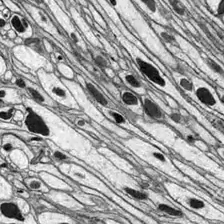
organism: Drosophila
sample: Optic lobe